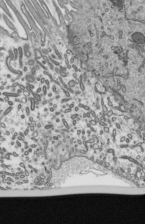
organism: Mouse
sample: Mouse epididymis efferent ductule cilia